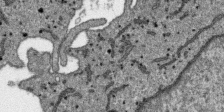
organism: Human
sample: Lung epithelial cells, uninfected (mock) control